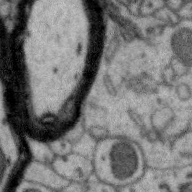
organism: Zebra finch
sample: Brain